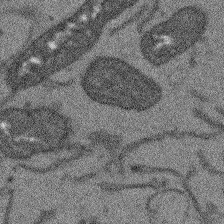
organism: Arabidopsis thaliana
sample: Root tip